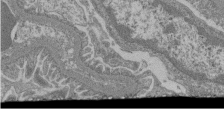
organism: Mouse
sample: Glomerulus